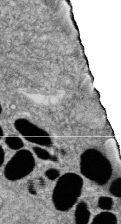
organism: Zebrafish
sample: Cilia; retinal pigment epithelium